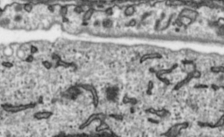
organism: Toxoplasma gondii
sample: Parasites in a vacuole inside a host cell